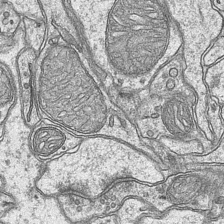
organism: Mouse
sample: CA1 Hippocampus